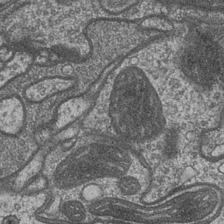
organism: Drosophila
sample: Optic medulla